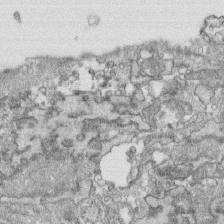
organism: Human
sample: CRL-1474